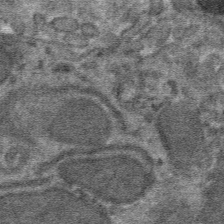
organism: Mouse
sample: Mouse hepatocytes